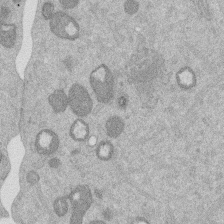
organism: Mouse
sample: Dividing mouse embryo 1 cell stage